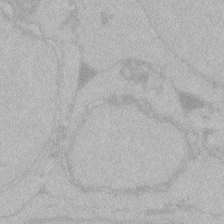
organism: Zebrafish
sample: Macrophage infected with Toxoplasma gondii